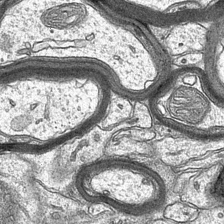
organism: Mouse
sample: CA1 Hippocampus